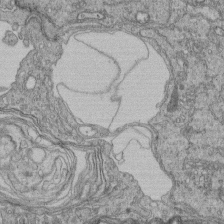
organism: Human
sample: Retinal organoid Rod and Cone cells